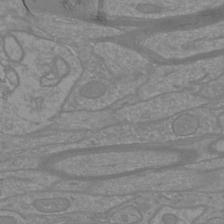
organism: Mouse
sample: Cortical neurons